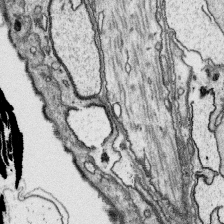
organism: Platynereis dumerilii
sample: Parapodia